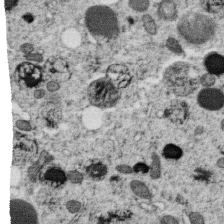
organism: C. elegans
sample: C. elegans oocyte; sperm cells